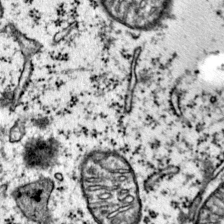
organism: Mouse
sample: Primary visual cortex